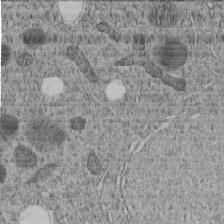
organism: C. elegans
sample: C. elegans embryo early stage